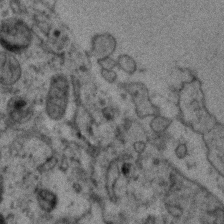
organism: Zebrafish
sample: Zebrafish embryo